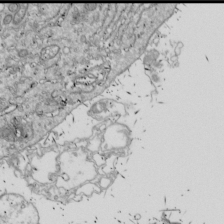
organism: Drosophila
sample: Cell division; meiosis; drosophila spermatocytes